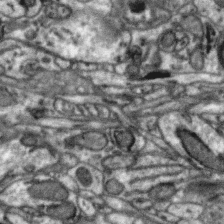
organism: Zebra finch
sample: Brain